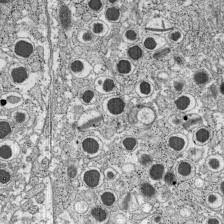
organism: C57BL Mouse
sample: Pancreatic islet